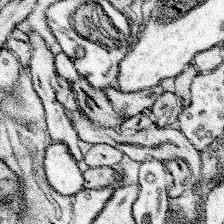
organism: Mouse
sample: Somatosensory cortex neuropil